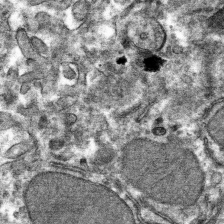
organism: Mouse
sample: Mouse hepatocytes